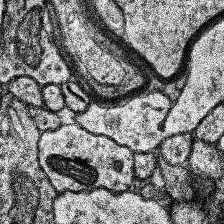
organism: Human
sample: Temporal Lobe